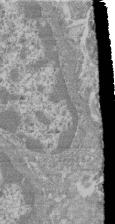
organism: Mouse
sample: Glomerulus